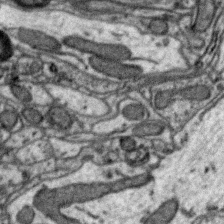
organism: Zebra finch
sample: Brain